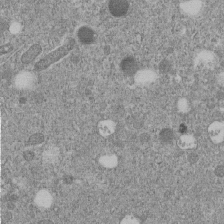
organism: C. elegans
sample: C. elegans embryo early stage